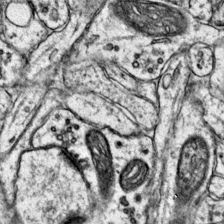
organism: Mouse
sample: Primary visual cortex